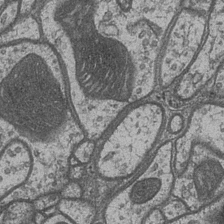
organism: Drosophila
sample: Optic medulla